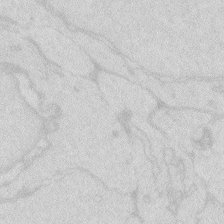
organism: Zebrafish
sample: Macrophage